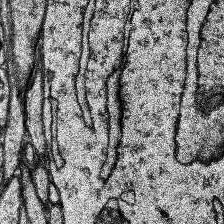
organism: Human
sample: Temporal Lobe